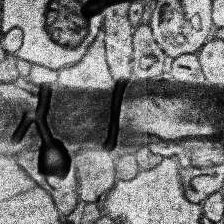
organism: Human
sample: Temporal Lobe